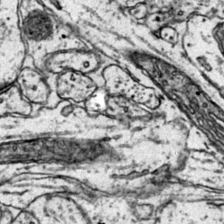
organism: Mouse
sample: Primary visual cortex